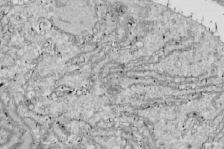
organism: Drosophila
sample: Cell division; meiosis; drosophila spermatocytes